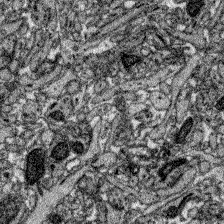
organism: Zebrafish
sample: Larval olfactory bulb